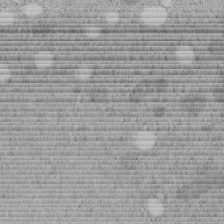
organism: C. elegans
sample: C. elegans embryo early stage